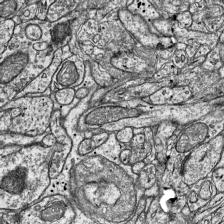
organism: Mouse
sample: Visual Cortex